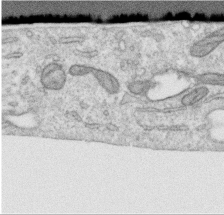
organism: Human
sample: Centriole in RPE cells